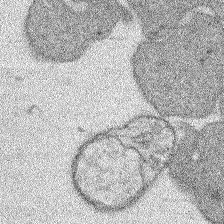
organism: Human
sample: HeLa cells